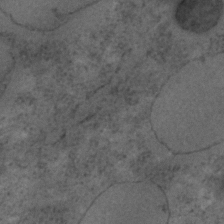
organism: C. elegans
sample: C. elegans embryo